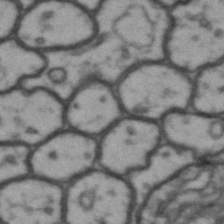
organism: Drosophila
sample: Brain